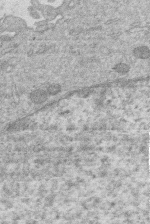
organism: Human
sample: Macrophage cells